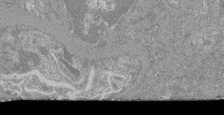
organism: Mouse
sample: Glomerulus